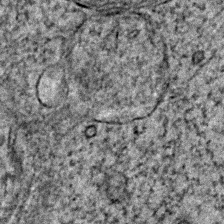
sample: Trachea